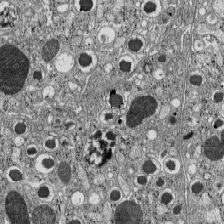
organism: C57BL Mouse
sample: Pancreatic islet